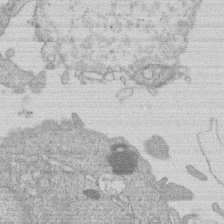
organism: Human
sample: Macrophage cells